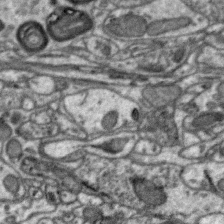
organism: Zebra finch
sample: Brain